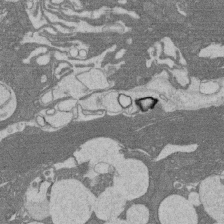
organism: Rat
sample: Salivary granule